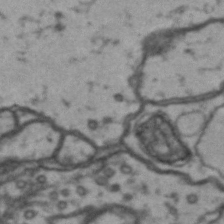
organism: Drosophila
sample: Brain